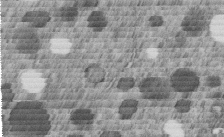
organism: C. elegans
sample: C. elegans embryo early stage